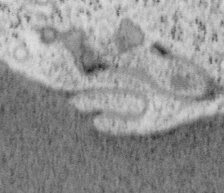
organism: Mouse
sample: OT-I killer T cells with ID8 ovarian cancer cells